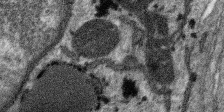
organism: Human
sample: Lung epithelial cells infected with SARS-CoV-2